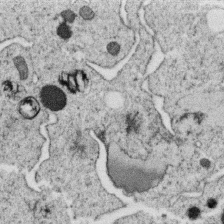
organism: C. elegans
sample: C. elegans oocyte; sperm cells